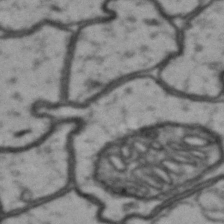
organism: Drosophila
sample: Brain